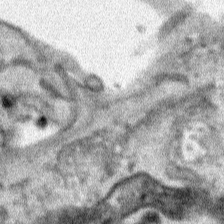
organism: Human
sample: Mitochondria in HCT116 cells